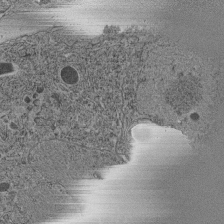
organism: C. elegans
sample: C. elegans pharynx